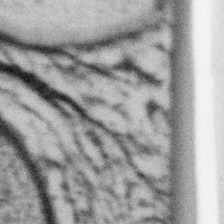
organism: Gemmata obscuriglobus